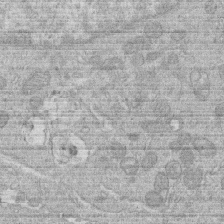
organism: Human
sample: Macrophage cells